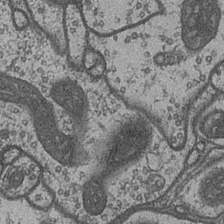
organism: Drosophila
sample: Optic medulla